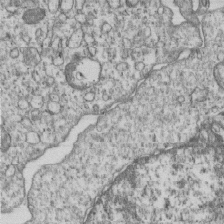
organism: Human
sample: MDA-MB-231 cells